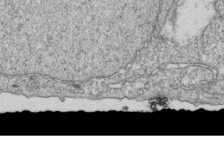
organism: Human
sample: HeLa cell HIV synapse